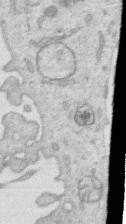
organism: Human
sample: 1205lu cells